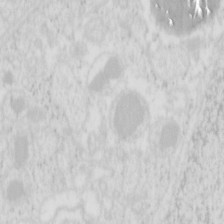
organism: Mouse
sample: Pancreas